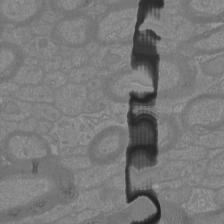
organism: Mouse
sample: Cortical neurons